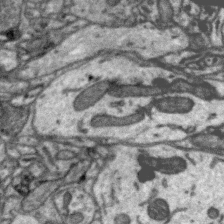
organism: Zebra finch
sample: Brain